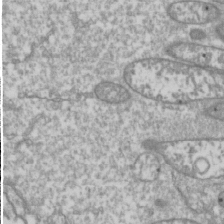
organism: Drosophila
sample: Cell division; meiosis; drosophila spermatocytes